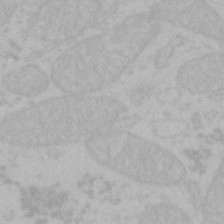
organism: Mouse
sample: Choroid plexus